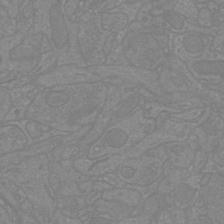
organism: Mouse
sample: Cortical neurons